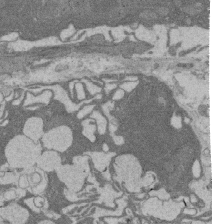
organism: Rat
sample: Salivary granule